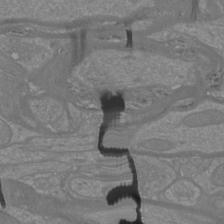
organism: Mouse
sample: Cortical neurons